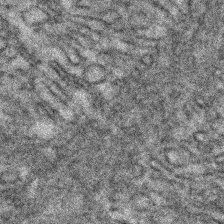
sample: Kidney